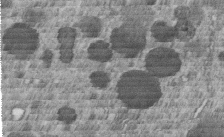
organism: C. elegans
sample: C. elegans embryo early stage